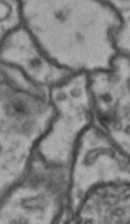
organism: Drosophila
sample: Brain